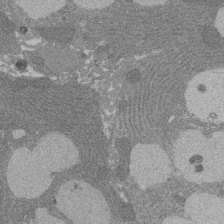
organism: Rat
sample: Salivary granule